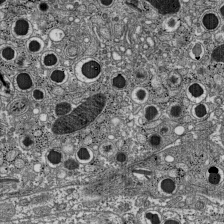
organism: C57BL Mouse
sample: Pancreatic islet